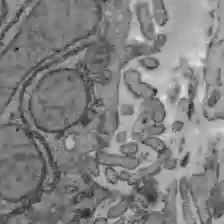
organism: C57BL Mouse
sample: Liver